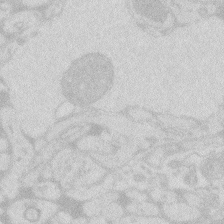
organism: Zebrafish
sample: Macrophage